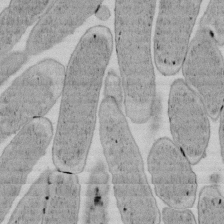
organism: E. coli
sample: Bacterial nucleoid